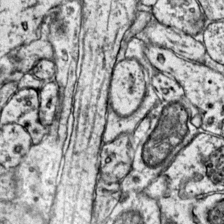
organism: Mouse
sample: Primary visual cortex